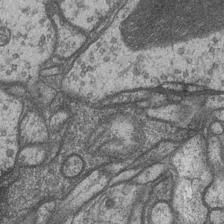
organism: Drosophila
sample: Optic medulla